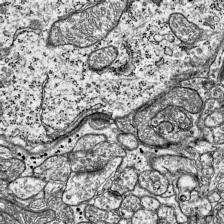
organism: Mouse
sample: Visual Cortex